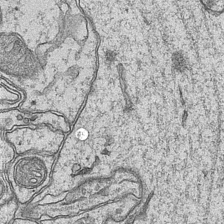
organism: Mouse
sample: CA1 Hippocampus